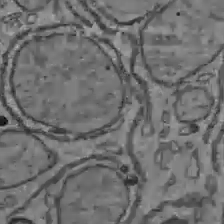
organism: C57BL Mouse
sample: Liver